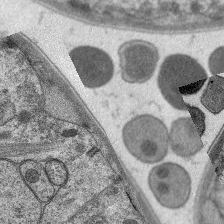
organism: C. elegans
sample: Pharynx